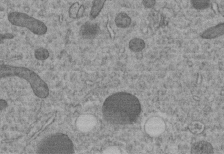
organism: C. elegans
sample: C. elegans embryo early stage